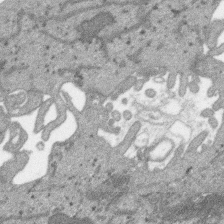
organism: Human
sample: Lung epithelial cells infected with SARS-CoV-2